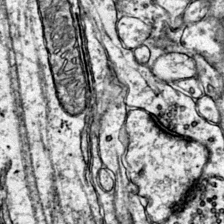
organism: Mouse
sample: Primary visual cortex